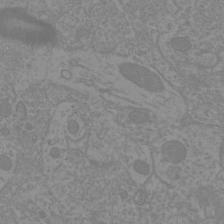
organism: Mouse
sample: Cortical neurons